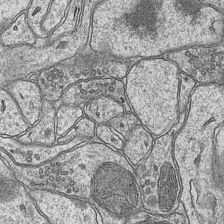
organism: Mouse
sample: CA1 Hippocampus